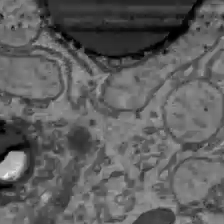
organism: C57BL Mouse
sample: Liver